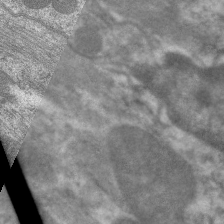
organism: C. elegans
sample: Pharynx